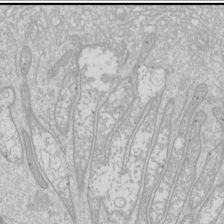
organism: Drosophila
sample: Cell division; meiosis; drosophila spermatocytes